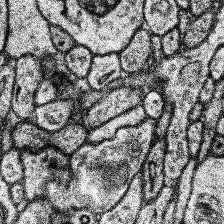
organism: Human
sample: Temporal Lobe